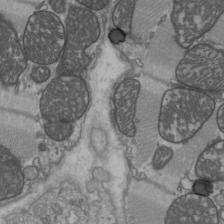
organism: C57BL Mouse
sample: Heart